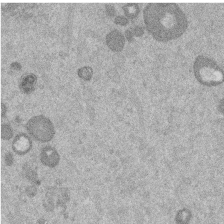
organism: Mouse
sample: Dividing mouse embryo 1 cell stage